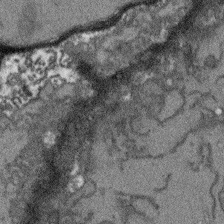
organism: Arabidopsis thaliana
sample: Root tip